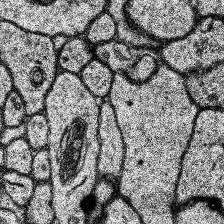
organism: Human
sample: Temporal Lobe